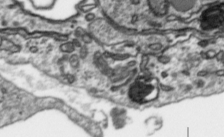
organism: Toxoplasma gondii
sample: Parasites in a vacuole inside a host cell